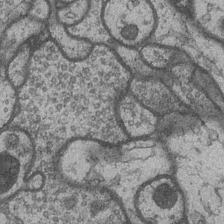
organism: Drosophila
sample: Optic medulla